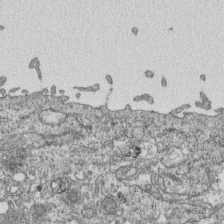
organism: Human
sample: HeLa cell HIV synapse